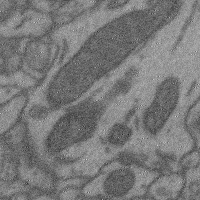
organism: Mouse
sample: Cerebral cortex